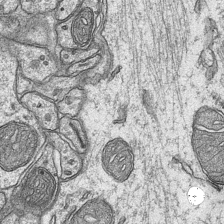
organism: Mouse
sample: CA1 Hippocampus